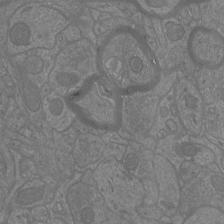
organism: Mouse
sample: Cortical neurons